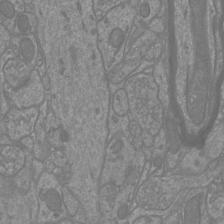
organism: Mouse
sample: Cortical neurons